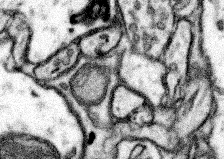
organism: Mouse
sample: Somatosensory cortex neuropil